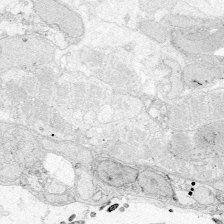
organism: Zebrafish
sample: Whole-Brain